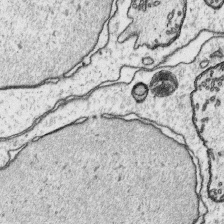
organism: Platynereis dumerilii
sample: Parapodia